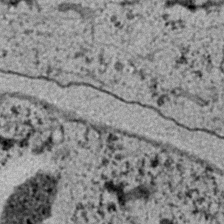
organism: C. elegans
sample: C. elegans embryo